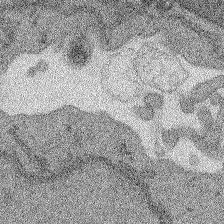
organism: Human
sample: HeLa cells